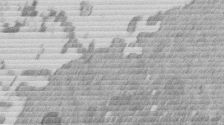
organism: Mouse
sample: Dividing mouse embryo 1 cell stage